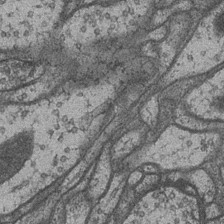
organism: Drosophila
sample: Optic medulla